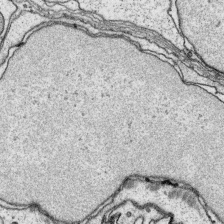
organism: Platynereis dumerilii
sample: Parapodia